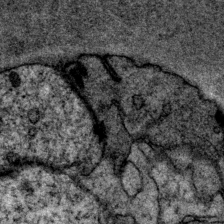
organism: P. pacificus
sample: Pharynx